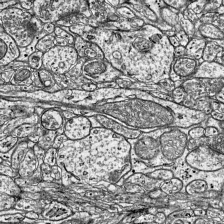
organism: Mouse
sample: Visual Cortex